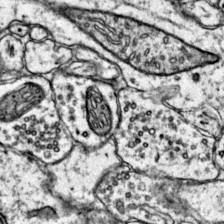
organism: Mouse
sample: Primary visual cortex